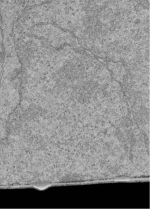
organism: Human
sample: Retinal organoid Rod and Cone cells